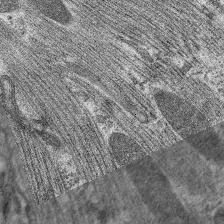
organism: C. elegans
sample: Pharynx